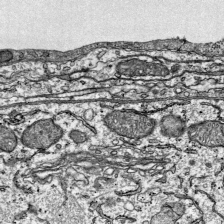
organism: Mouse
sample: Visual Cortex